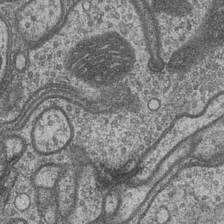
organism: Drosophila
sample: Optic medulla